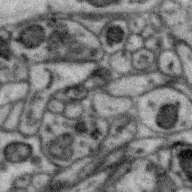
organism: Zebra finch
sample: Brain